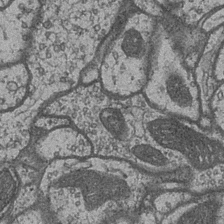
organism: Drosophila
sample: Optic medulla